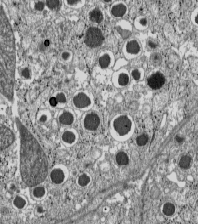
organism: C57BL Mouse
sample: Pancreatic islet